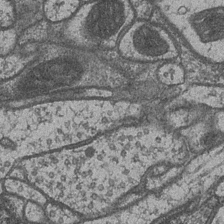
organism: Drosophila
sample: Optic medulla